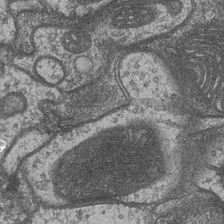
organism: Drosophila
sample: Optic medulla